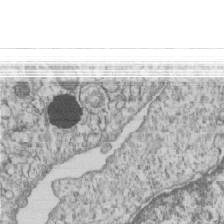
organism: Human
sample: MDA-MB-231 cells